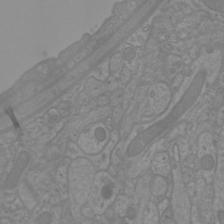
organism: Mouse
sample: Cortical neurons